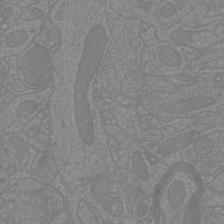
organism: Mouse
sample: Cortical neurons